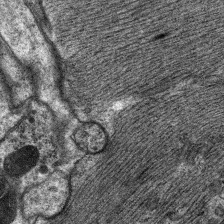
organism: C. elegans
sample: Pharynx